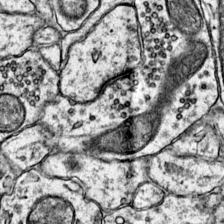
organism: Mouse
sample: Primary visual cortex